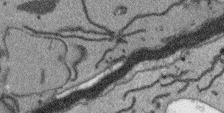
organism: Arabidopsis thaliana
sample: Root tip